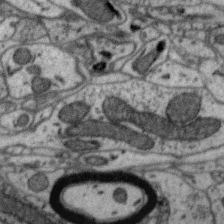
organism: Zebra finch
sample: Brain